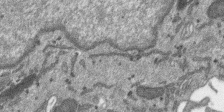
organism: Human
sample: Lung epithelial cells infected with SARS-CoV-2